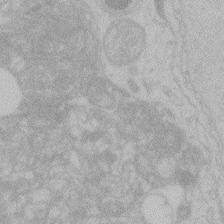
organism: Zebrafish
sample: Macrophage infected with Toxoplasma gondii